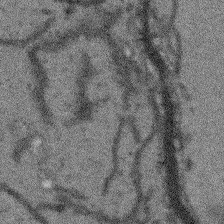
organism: Arabidopsis thaliana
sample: Root tip